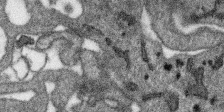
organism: Human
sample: Lung epithelial cells infected with SARS-CoV-2